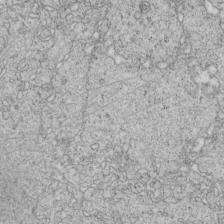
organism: C. elegans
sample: C. elegans embryo early stage